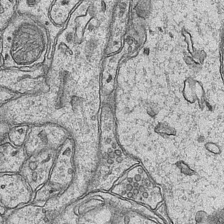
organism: Mouse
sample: CA1 Hippocampus